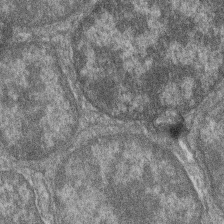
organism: Zebrafish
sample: Cilia; retinal pigment epithelium